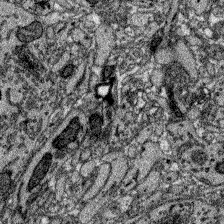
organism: Zebrafish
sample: Larval olfactory bulb